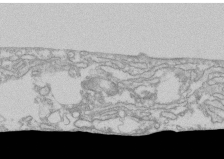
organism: Human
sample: CRL-1474